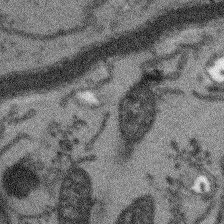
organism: Arabidopsis thaliana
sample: Root tip